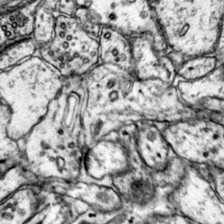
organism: Mouse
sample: Primary visual cortex